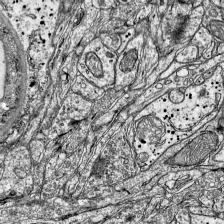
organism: Mouse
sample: Visual Cortex